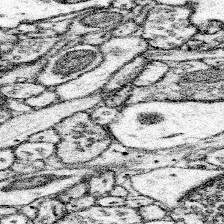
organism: Mouse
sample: Somatosensory cortex neuropil